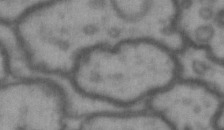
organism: Drosophila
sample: Brain